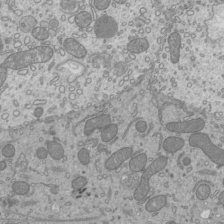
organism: Mouse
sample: Cilia; mouse epididymis